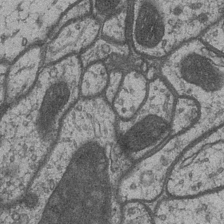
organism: Drosophila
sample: Optic medulla